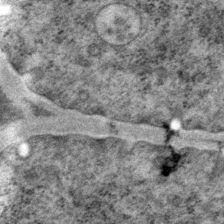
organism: P. pacificus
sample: Pharynx